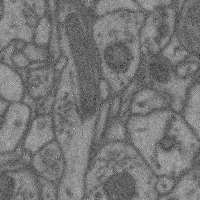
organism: Mouse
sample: Cerebral cortex